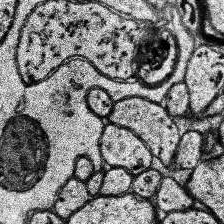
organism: Human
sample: Temporal Lobe